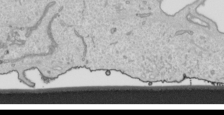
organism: Human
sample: Mitochondria in HCT116 cells